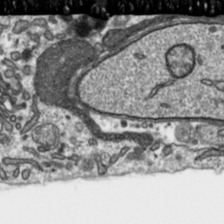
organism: Toxoplasma gondii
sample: Parasites in a vacuole inside a host cell